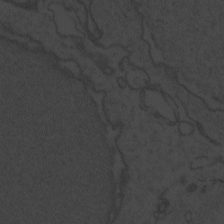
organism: Zebrafish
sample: Macrophage infected with Toxoplasma gondii